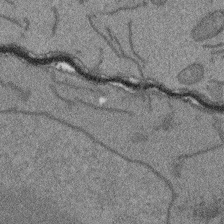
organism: Arabidopsis thaliana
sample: Root tip